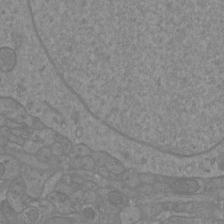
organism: Mouse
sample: Cortical neurons